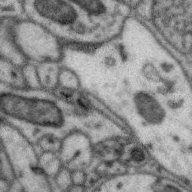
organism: Zebra finch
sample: Brain